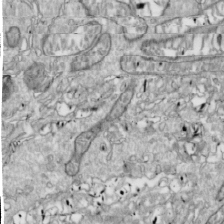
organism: Drosophila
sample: Cell division; meiosis; drosophila spermatocytes